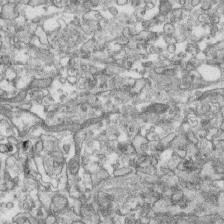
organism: Human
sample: CRL-1474